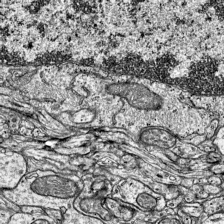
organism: Mouse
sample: Visual Cortex